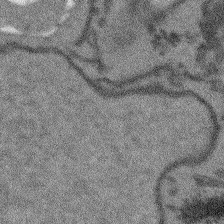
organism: Arabidopsis thaliana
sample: Root tip